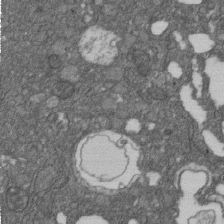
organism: Drosophila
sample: Nephrocyte